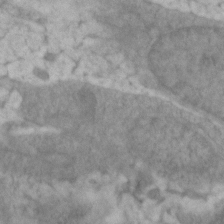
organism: Zebrafish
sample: Zebrafish embryo